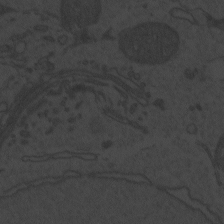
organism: Zebrafish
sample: Macrophage infected with Toxoplasma gondii